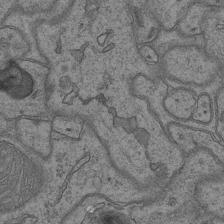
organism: Mouse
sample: CA1 Hippocampus